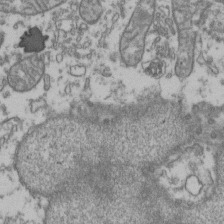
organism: Human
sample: Activated Jurkat CD4+ T cells